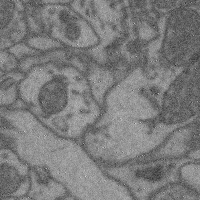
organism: Mouse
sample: Cerebral cortex